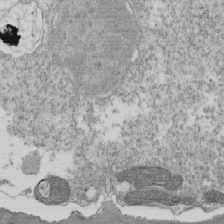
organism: Tetrahymena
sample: Cilia in tetrahymena